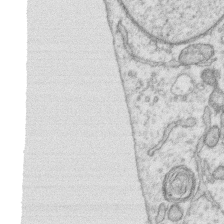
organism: Human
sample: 1205lu cells